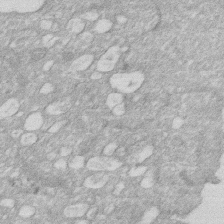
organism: Human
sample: HIV infected U937 cells